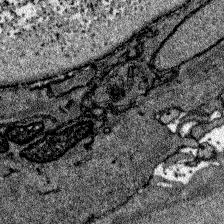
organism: Zebrafish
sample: Larval olfactory bulb